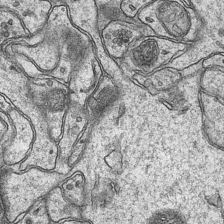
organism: Mouse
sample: CA1 Hippocampus